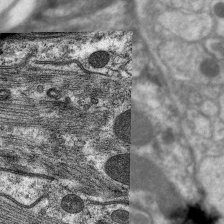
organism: C. elegans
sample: Pharynx